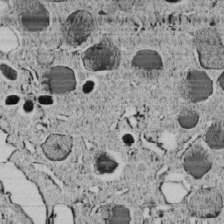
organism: C. elegans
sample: C. elegans embryo early stage